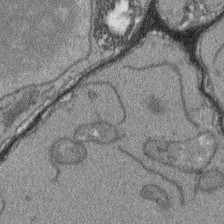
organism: Arabidopsis thaliana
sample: Root tip